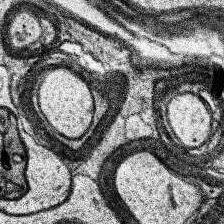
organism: Human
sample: Temporal Lobe